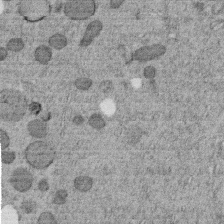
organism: C. elegans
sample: C. elegans embryo early stage